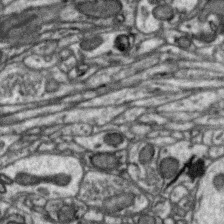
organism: Zebra finch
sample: Brain